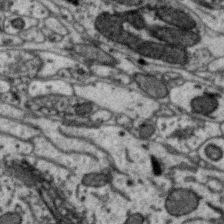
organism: Zebra finch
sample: Brain